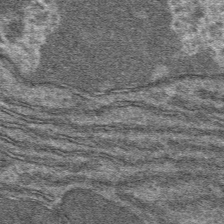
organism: Mouse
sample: Mouse hepatocytes